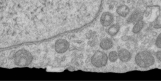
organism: Human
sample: Centriole in RPE cells